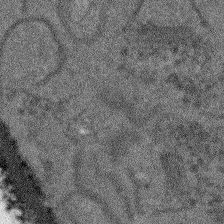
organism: Arabidopsis thaliana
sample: Root tip